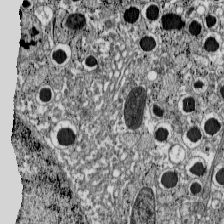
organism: C57BL Mouse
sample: Pancreatic islet